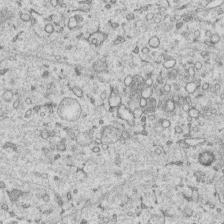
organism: Human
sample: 1205lu cells